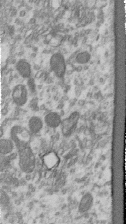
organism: Human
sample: Centriole in RPE cells